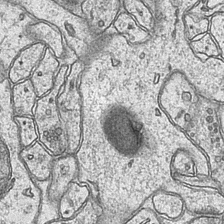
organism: Mouse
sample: CA1 Hippocampus